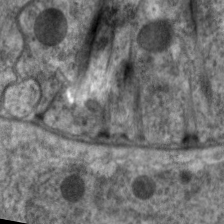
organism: C. elegans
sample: Pharynx